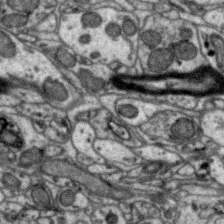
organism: Zebra finch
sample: Brain